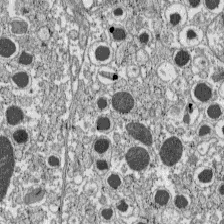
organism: C57BL Mouse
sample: Pancreatic islet